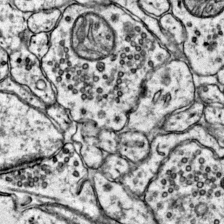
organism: Mouse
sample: Primary visual cortex